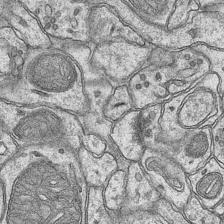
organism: Mouse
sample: CA1 Hippocampus